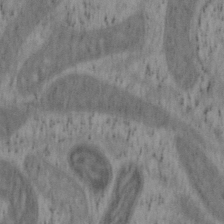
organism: Mouse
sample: OT-I killer T cells with ID8 ovarian cancer cells